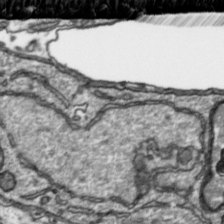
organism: Toxoplasma gondii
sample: Parasites in a vacuole inside a host cell